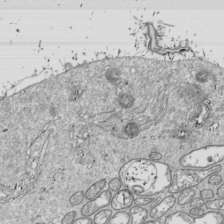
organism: Drosophila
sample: Cell division; meiosis; drosophila spermatocytes